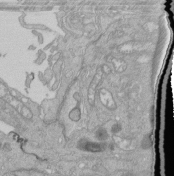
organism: Human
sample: Retinal organoid Rod and Cone cells